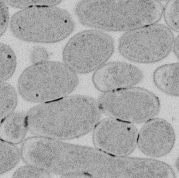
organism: E. coli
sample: Bacterial nucleoid